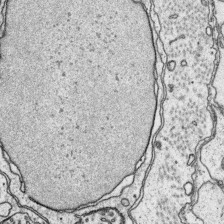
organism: Platynereis dumerilii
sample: Parapodia